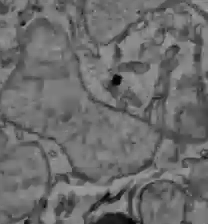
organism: C57BL Mouse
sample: Liver